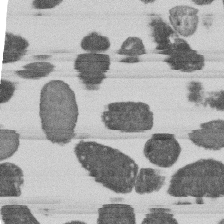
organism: E. coli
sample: Bacterial nucleoid